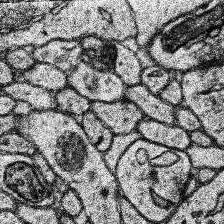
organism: Human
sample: Temporal Lobe